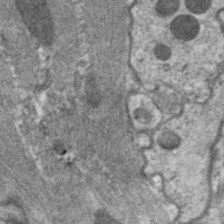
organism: C. elegans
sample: Pharynx